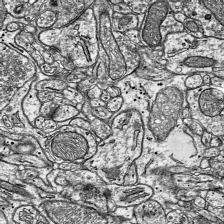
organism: Mouse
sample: Visual Cortex